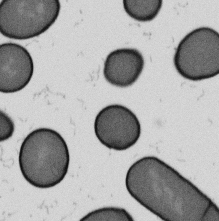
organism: B. subtilis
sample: Bacterial spore